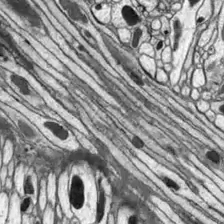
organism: Drosophila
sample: Optic lobe